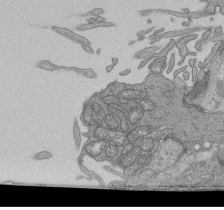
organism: Human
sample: Retinal organoid Rod and Cone cells